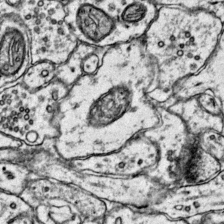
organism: Mouse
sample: Primary visual cortex